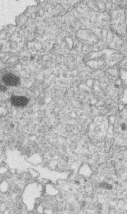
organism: Human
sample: HeLa cell HIV synapse